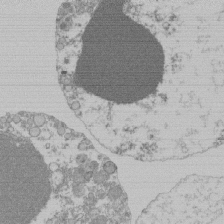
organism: Mouse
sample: Activated Pmel transgenic CD8+ T Cells